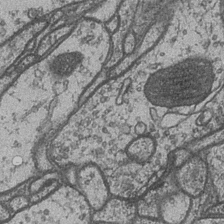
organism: Drosophila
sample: Optic medulla